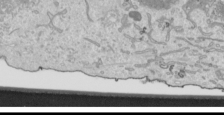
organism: Human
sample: Mitochondria in HCT116 cells